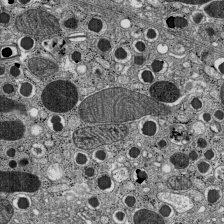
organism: C57BL Mouse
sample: Pancreatic islet